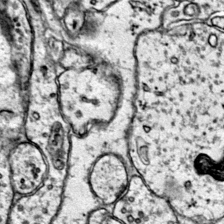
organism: Mouse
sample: Primary visual cortex